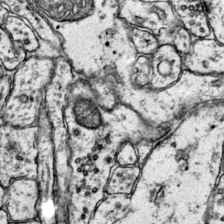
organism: Mouse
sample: Primary visual cortex